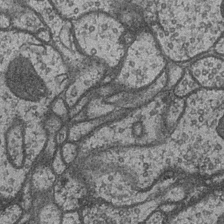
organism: Drosophila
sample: Optic medulla